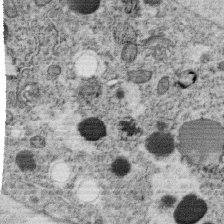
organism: C. elegans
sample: C. elegans oocyte; sperm cells